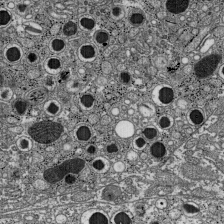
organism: C57BL Mouse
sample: Pancreatic islet